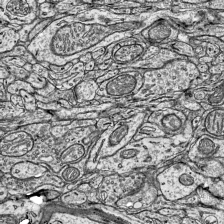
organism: Mouse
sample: Visual Cortex